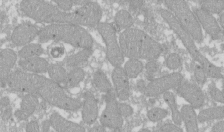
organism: Xenopus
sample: Cilia; centrioles in frog embryo cells